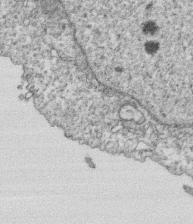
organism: Human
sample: HeLa cell HIV synapse